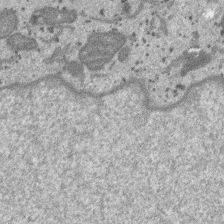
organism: Human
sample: Lung epithelial cells infected with SARS-CoV-2